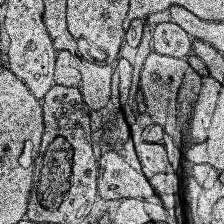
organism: Human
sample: Temporal Lobe